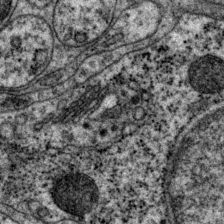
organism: P. pacificus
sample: Pharynx